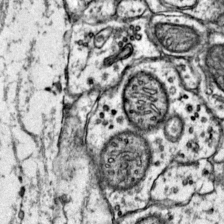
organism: Mouse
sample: Primary visual cortex